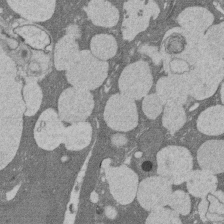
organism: Rat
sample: Salivary granule